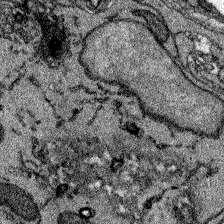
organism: Zebrafish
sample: Larval olfactory bulb